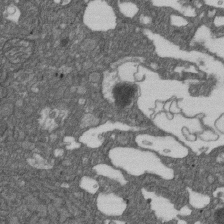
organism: Drosophila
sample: Nephrocyte